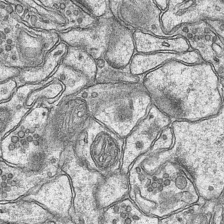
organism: Mouse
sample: CA1 Hippocampus